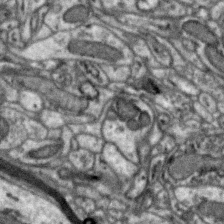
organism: Zebra finch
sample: Brain